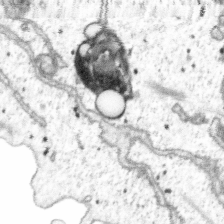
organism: Human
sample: HeLa cells